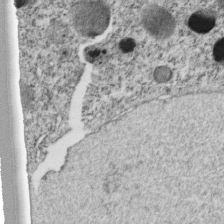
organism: C. elegans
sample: C. elegans embryo early stage